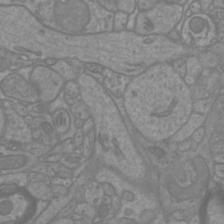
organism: Mouse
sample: Cortical neurons